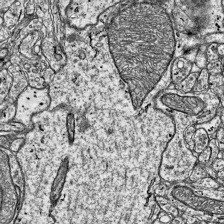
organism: Mouse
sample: Visual Cortex